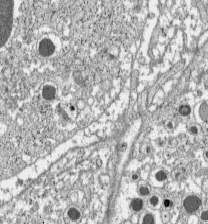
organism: C57BL Mouse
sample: Pancreatic islet